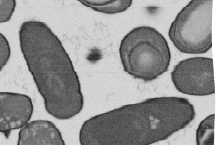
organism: B. subtilis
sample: Bacterial spore